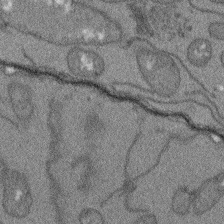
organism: Arabidopsis thaliana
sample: Root tip